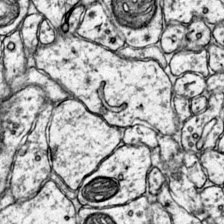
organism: Mouse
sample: Primary visual cortex